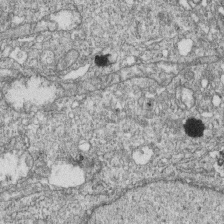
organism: Human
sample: HeLa cell HIV synapse